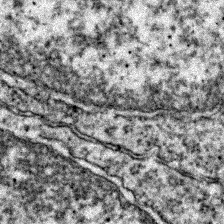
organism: Zebrafish